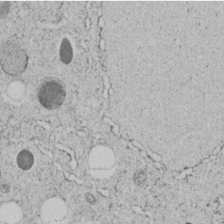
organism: C. elegans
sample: C. elegans embryo early stage